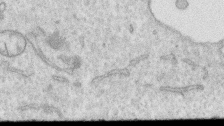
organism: Human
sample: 1205lu cells